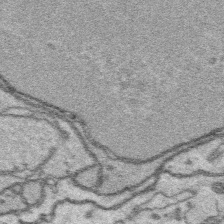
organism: Platynereis dumerilii